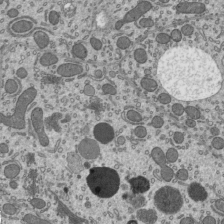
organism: Mouse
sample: Mouse epididymis efferent ductule cilia